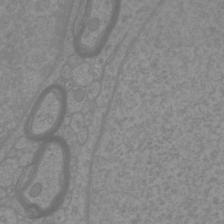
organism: Mouse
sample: Cortical neurons